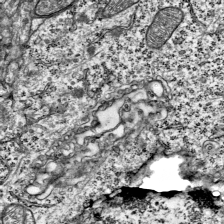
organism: Mouse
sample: Visual Cortex